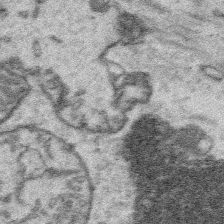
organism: Platynereis dumerilii